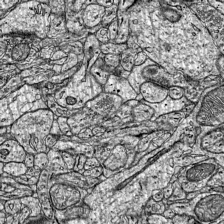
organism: Mouse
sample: Visual Cortex